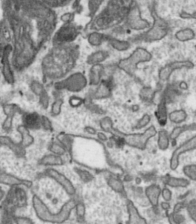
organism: Toxoplasma gondii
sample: Parasites in a vacuole inside a host cell